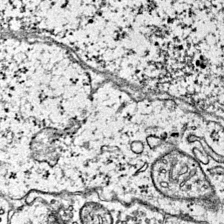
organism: Mouse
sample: Primary visual cortex